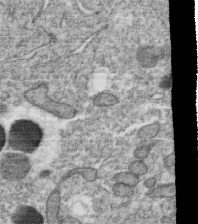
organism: C. elegans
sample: C. elegans oocyte; sperm cells